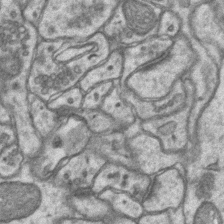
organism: Mouse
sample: CA1 Hippocampus